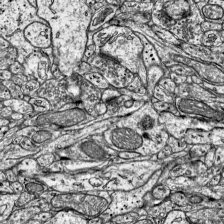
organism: Mouse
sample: Visual Cortex